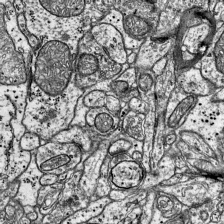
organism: Mouse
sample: Visual Cortex